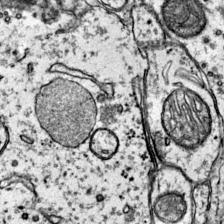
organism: Mouse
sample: Primary visual cortex